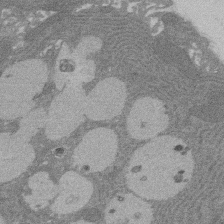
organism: Rat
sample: Salivary granule